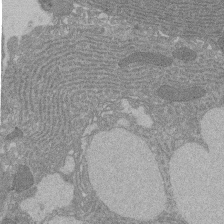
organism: Rat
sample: Salivary granule